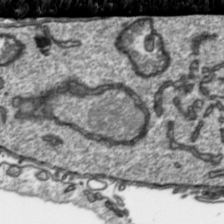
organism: Toxoplasma gondii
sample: Parasites in a vacuole inside a host cell